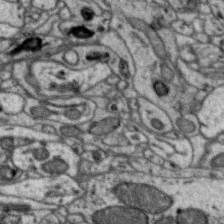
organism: Zebra finch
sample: Brain